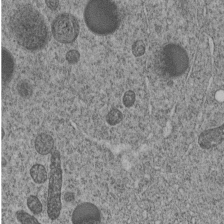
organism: C. elegans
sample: C. elegans embryo early stage